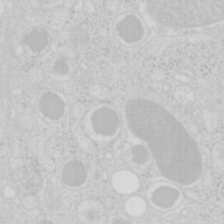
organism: Mouse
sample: Pancreas